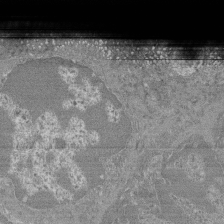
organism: Mouse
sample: Glomerulus